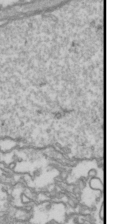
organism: Drosophila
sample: Cell division; meiosis; drosophila spermatocytes